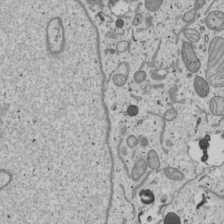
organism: Human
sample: Mitochondria in U2OS cells